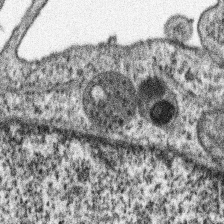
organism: Human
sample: HeLa cells